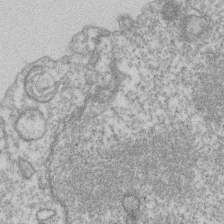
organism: Mouse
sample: T cell stromal cell synapse